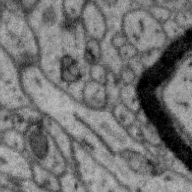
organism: Zebra finch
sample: Brain